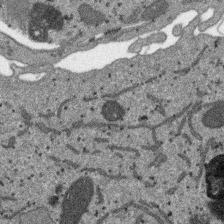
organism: Human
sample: Lung epithelial cells infected with SARS-CoV-2